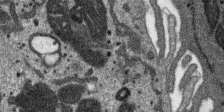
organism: Human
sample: Lung epithelial cells infected with SARS-CoV-2